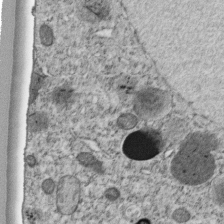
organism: C. elegans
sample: C. elegans embryo early stage